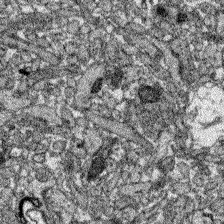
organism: Zebrafish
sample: Larval olfactory bulb